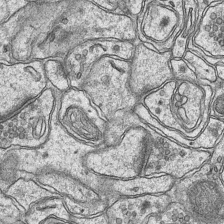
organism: Mouse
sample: CA1 Hippocampus